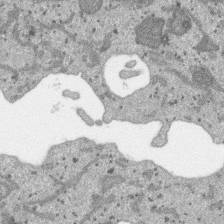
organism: Human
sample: Lung epithelial cells infected with SARS-CoV-2